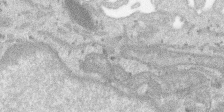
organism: Human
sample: Lung epithelial cells infected with SARS-CoV-2